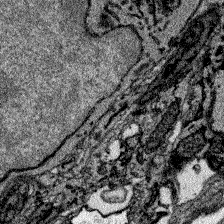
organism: Zebrafish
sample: Larval olfactory bulb